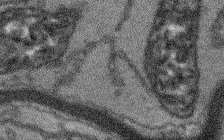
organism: Arabidopsis thaliana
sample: Root tip